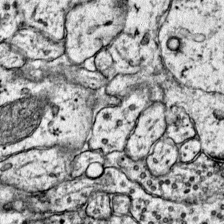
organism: Mouse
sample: Primary visual cortex